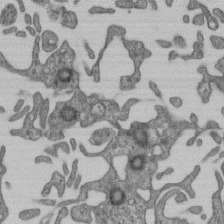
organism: Mouse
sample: Centriole in ependymal cells